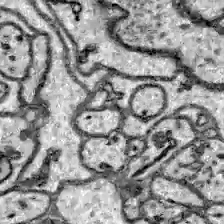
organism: Zebrafish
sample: Brain